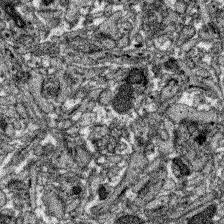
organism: Zebrafish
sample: Larval olfactory bulb